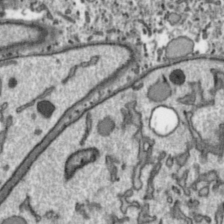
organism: Toxoplasma gondii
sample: Parasites in a vacuole inside a host cell